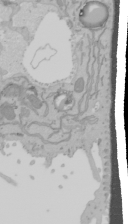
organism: Mouse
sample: Cancer cell death in ED-1 cells